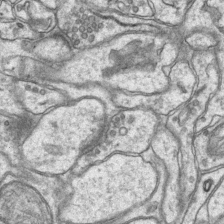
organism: Mouse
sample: CA1 Hippocampus